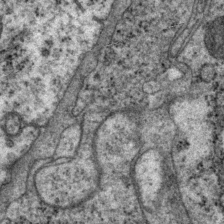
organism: P. pacificus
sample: Pharynx